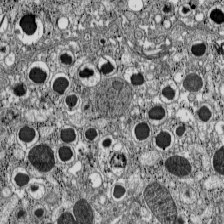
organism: C57BL Mouse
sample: Pancreatic islet